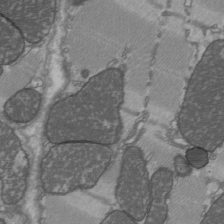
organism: C57BL Mouse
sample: Heart